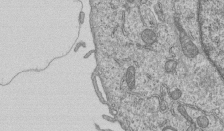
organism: Human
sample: MDA-MB-231 cells